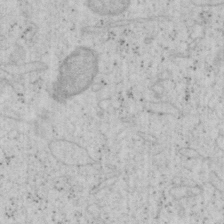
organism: Human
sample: HeLa cells